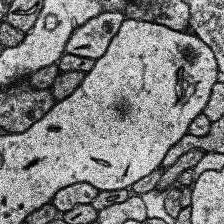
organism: Human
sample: Temporal Lobe